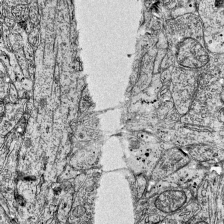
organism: Mouse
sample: Visual Cortex